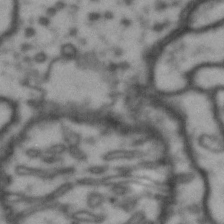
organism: Drosophila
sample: Brain